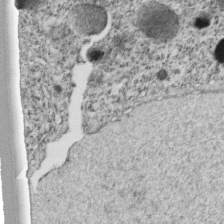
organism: C. elegans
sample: C. elegans embryo early stage